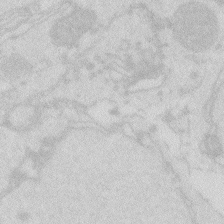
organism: Zebrafish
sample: Macrophage